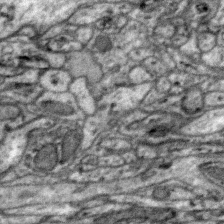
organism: Zebra finch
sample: Brain